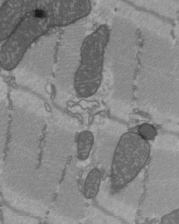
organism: C57BL Mouse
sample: Heart